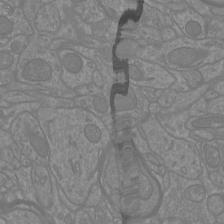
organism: Mouse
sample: Cortical neurons